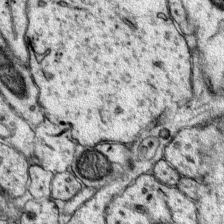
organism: Mouse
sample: Primary visual cortex